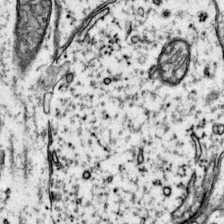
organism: Mouse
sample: Primary visual cortex